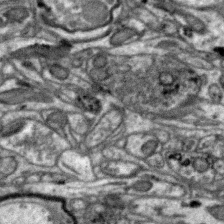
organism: Zebra finch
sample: Brain